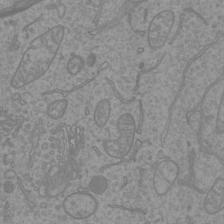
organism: Mouse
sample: Cortical neurons